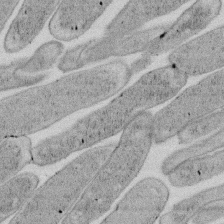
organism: E. coli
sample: Bacterial nucleoid